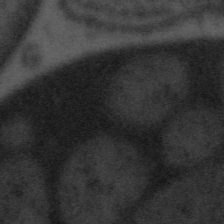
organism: Tuwongella immobilis